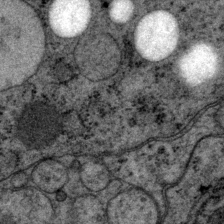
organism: P. pacificus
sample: Pharynx